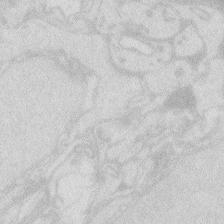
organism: Zebrafish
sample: Macrophage